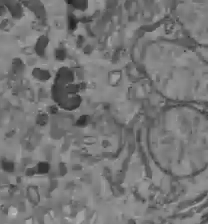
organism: C57BL Mouse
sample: Liver